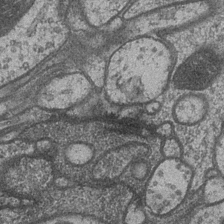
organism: Drosophila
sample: Optic medulla